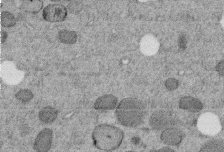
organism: C. elegans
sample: C. elegans embryo early stage